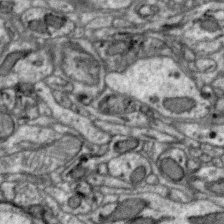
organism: Zebra finch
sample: Brain